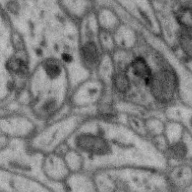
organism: Zebra finch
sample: Brain